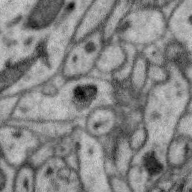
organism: Zebra finch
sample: Brain